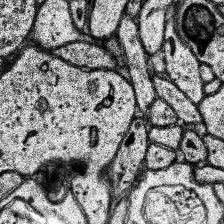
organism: Human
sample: Temporal Lobe